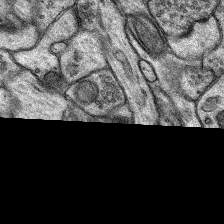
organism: Rat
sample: Hippocampus